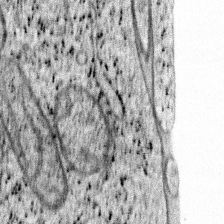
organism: Human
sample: HeLa cells